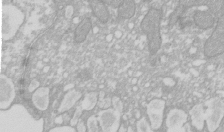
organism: Xenopus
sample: Cilia; centrioles in frog embryo cells